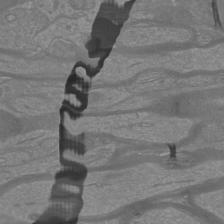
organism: Mouse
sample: Cortical neurons